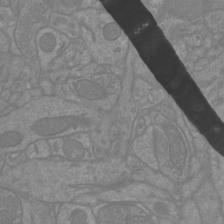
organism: Mouse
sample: Cortical neurons